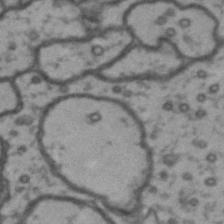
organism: Drosophila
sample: Brain